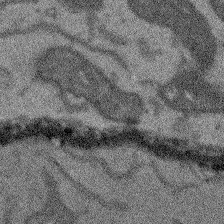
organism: Arabidopsis thaliana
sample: Root tip